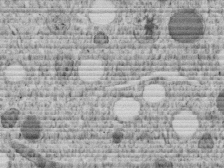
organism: C. elegans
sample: C. elegans embryo early stage